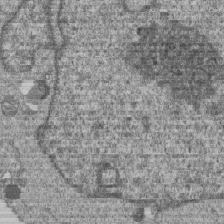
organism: Human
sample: MDA-MB-231 cells